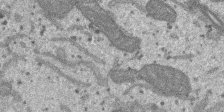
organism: Human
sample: Lung epithelial cells infected with SARS-CoV-2